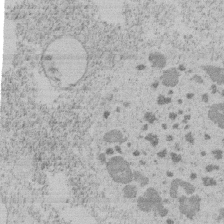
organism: Tetrahymena